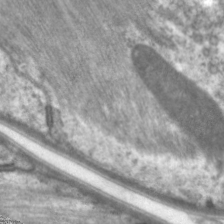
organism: C. elegans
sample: Pharynx